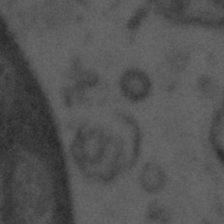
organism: Tuwongella immobilis